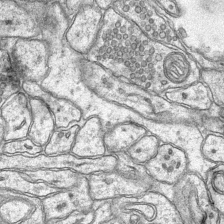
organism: Mouse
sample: CA1 Hippocampus